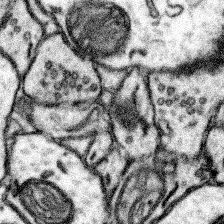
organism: Mouse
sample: Somatosensory cortex neuropil